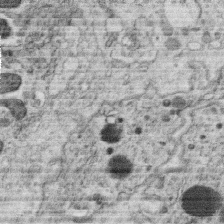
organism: C. elegans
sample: C. elegans oocyte; sperm cells